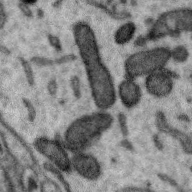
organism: Zebra finch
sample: Brain